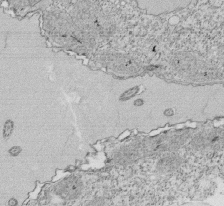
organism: Tetrahymena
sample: Cilia in tetrahymena